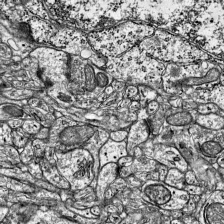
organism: Mouse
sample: Visual Cortex